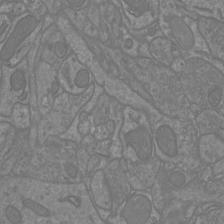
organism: Mouse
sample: Cortical neurons